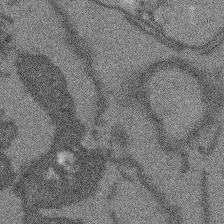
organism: Arabidopsis thaliana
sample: Root tip